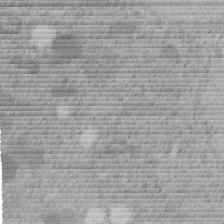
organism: C. elegans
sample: C. elegans embryo early stage